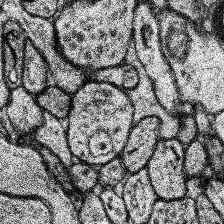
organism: Human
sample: Temporal Lobe